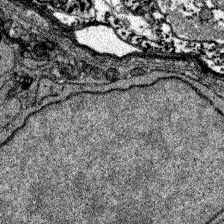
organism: Zebrafish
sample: Larval olfactory bulb